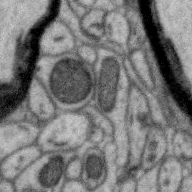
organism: Zebra finch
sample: Brain